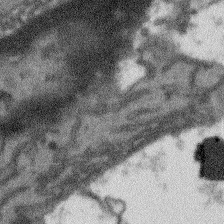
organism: Arabidopsis thaliana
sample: Root tip